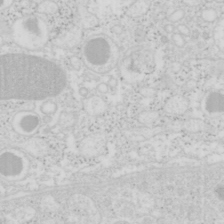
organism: Mouse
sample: Pancreas